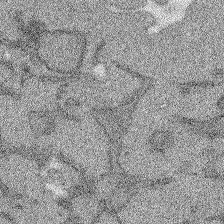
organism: Human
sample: HeLa cells